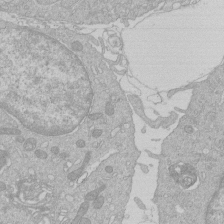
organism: Human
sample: Macrophage cells